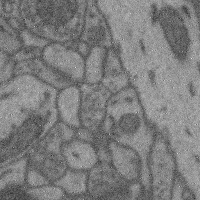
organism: Mouse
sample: Cerebral cortex